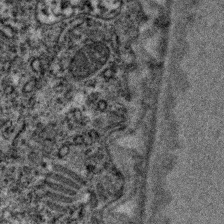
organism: C. elegans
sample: C. elegans embryo